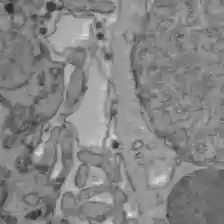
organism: C57BL Mouse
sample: Liver